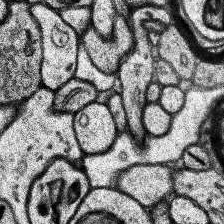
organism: Human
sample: Temporal Lobe